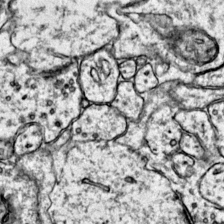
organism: Mouse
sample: Primary visual cortex